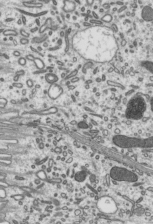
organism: Mouse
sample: Mouse epididymis efferent ductule cilia